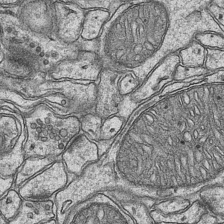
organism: Mouse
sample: CA1 Hippocampus